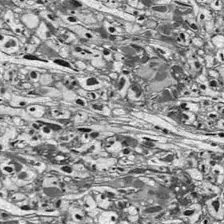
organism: Drosophila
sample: Optic lobe